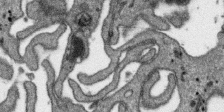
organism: Human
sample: Lung epithelial cells, uninfected (mock) control